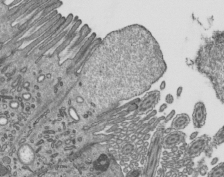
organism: Mouse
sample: Mouse epididymis efferent ductule cilia